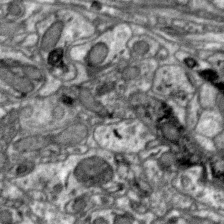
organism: Zebra finch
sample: Brain